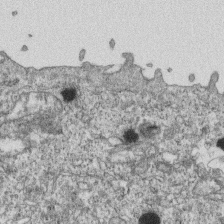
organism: Human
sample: HeLa cell HIV synapse